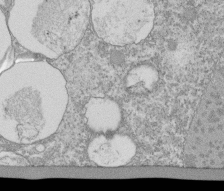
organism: Tetrahymena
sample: Cilia in tetrahymena